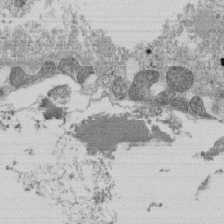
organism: Tetrahymena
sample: Cilia in tetrahymena